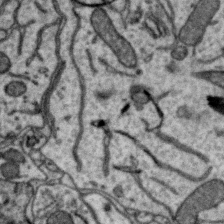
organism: Zebra finch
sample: Brain